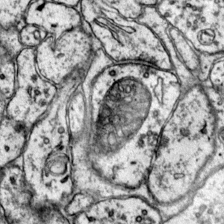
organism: Mouse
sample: Primary visual cortex